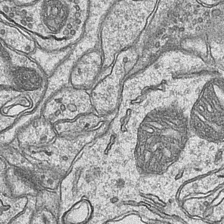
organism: Mouse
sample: CA1 Hippocampus